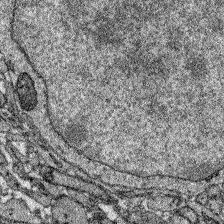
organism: Zebrafish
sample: Larval olfactory bulb